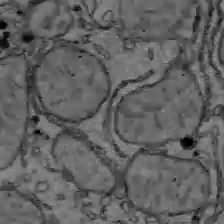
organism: C57BL Mouse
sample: Liver